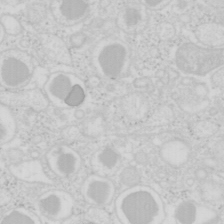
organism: Mouse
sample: Pancreas